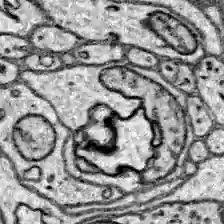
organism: Zebrafish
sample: Brain